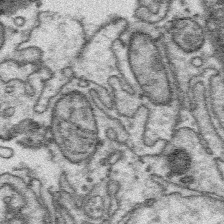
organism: Platynereis dumerilii